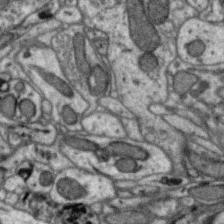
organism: Zebra finch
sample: Brain